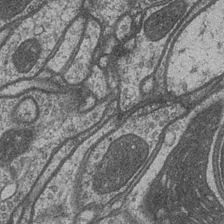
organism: Drosophila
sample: Optic medulla